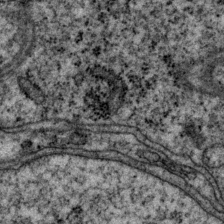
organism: P. pacificus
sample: Pharynx